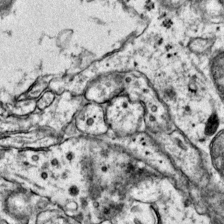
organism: Mouse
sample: Primary visual cortex